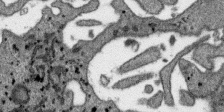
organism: Human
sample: Lung epithelial cells, uninfected (mock) control